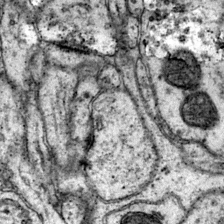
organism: Mouse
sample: Primary visual cortex